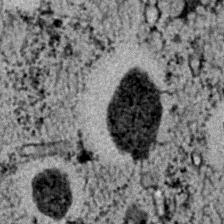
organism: C. elegans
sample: C. elegans embryo